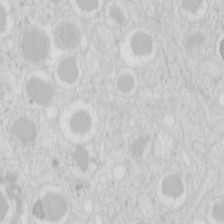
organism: Mouse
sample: Pancreas